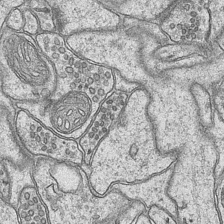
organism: Mouse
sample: CA1 Hippocampus